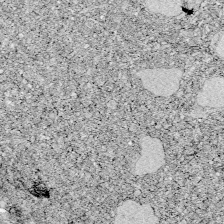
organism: Zebrafish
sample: Whole-Brain